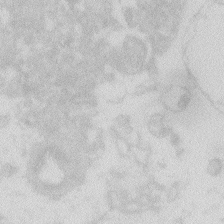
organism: Zebrafish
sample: Macrophage